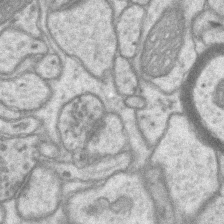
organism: Mouse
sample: CA1 Hippocampus